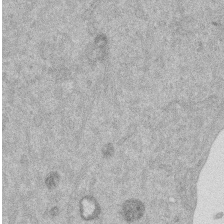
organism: Mouse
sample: Dividing mouse embryo 1 cell stage